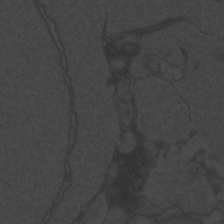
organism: Zebrafish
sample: Macrophage infected with Toxoplasma gondii